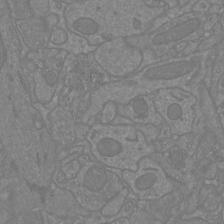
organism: Mouse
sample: Cortical neurons